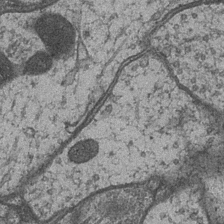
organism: Drosophila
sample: Optic medulla